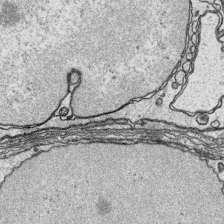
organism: Platynereis dumerilii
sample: Parapodia